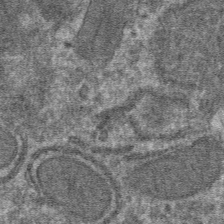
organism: Mouse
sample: Mouse hepatocytes